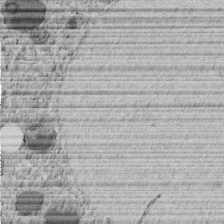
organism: C. elegans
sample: C. elegans embryo early stage